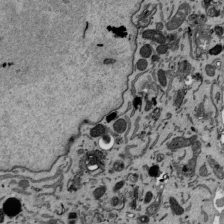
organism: Mouse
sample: ED-1 cell nuclei; centrioles